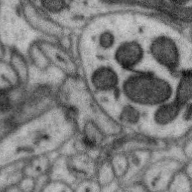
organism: Zebra finch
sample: Brain